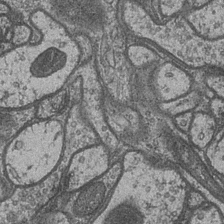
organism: Drosophila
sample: Optic medulla